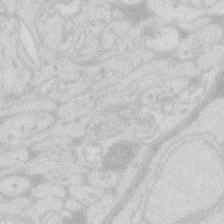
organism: Zebrafish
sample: Macrophage